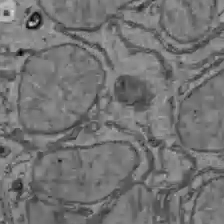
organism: C57BL Mouse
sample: Liver